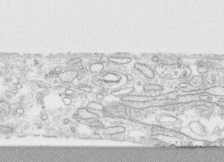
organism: Human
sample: CRL-1474